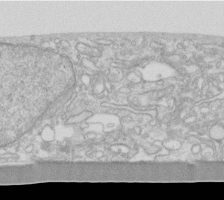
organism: Human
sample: Fibroblast cells